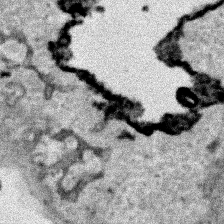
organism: Human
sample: Mitochondria in HCT116 cells